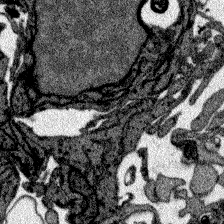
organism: Zebrafish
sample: Larval olfactory bulb